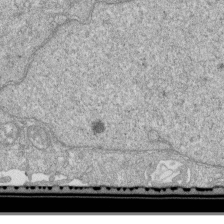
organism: Human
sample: HeLa cell HIV synapse